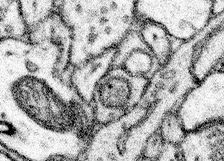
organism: Mouse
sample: Somatosensory cortex neuropil